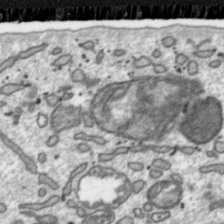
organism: Toxoplasma gondii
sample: Parasites in a vacuole inside a host cell